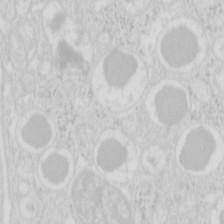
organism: Mouse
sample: Pancreas